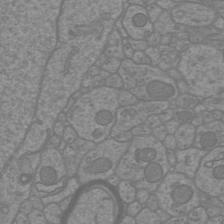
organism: Mouse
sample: Cortical neurons